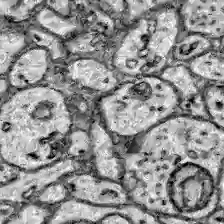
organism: Zebrafish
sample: Brain